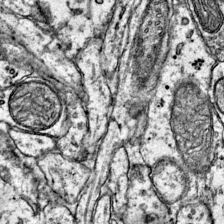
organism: Mouse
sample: Primary visual cortex